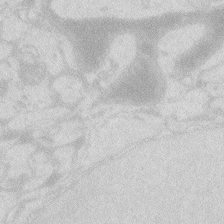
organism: Zebrafish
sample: Macrophage